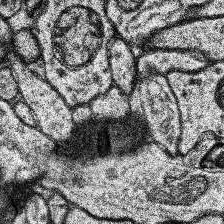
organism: Human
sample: Temporal Lobe